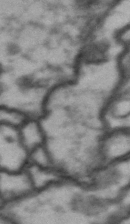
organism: Drosophila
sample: Brain